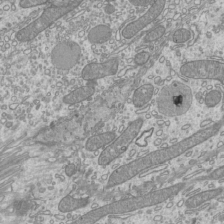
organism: Mouse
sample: Cilia; mouse epididymis